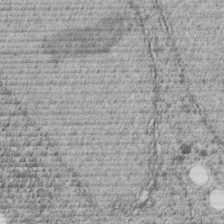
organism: C. elegans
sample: C. elegans embryo early stage